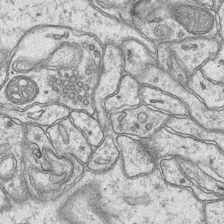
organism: Mouse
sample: CA1 Hippocampus